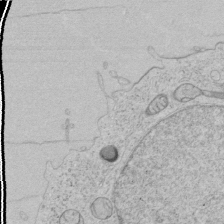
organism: Human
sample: Mitochondria in HCT116 cells